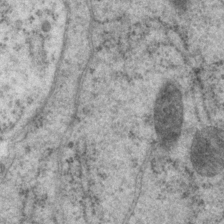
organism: P. pacificus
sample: Pharynx